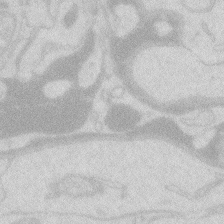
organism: Zebrafish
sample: Macrophage